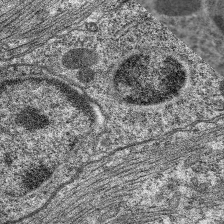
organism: C. elegans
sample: Pharynx